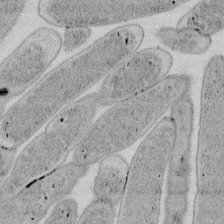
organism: E. coli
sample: Bacterial nucleoid